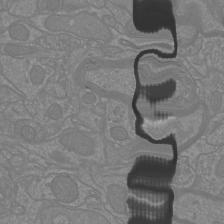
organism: Mouse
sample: Cortical neurons